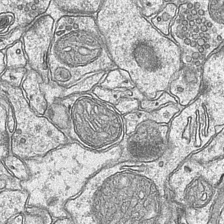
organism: Mouse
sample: CA1 Hippocampus